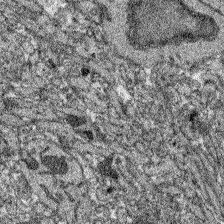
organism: Zebrafish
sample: Larval olfactory bulb